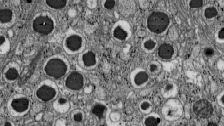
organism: C57BL Mouse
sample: Pancreatic islet